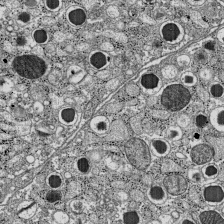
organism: C57BL Mouse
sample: Pancreatic islet